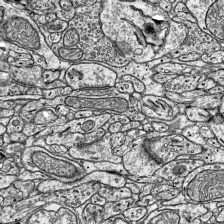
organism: Mouse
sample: Visual Cortex